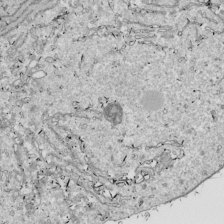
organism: Drosophila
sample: Cell division; meiosis; drosophila spermatocytes